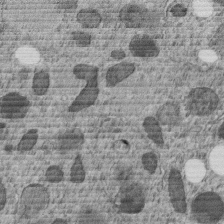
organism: C. elegans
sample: C. elegans embryo early stage